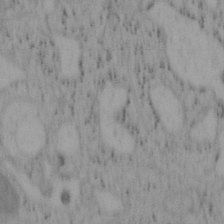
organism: Mouse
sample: OT-I killer T cells with ID8 ovarian cancer cells